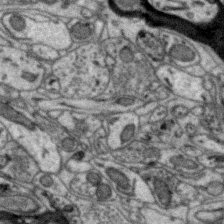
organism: Zebra finch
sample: Brain